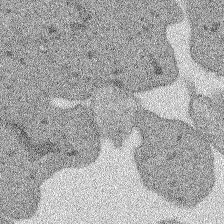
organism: Human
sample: HeLa cells